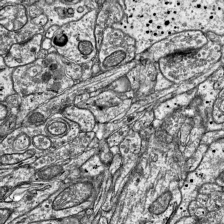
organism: Mouse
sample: Visual Cortex